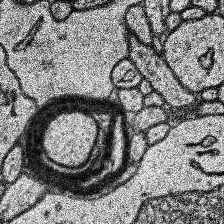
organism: Human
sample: Temporal Lobe